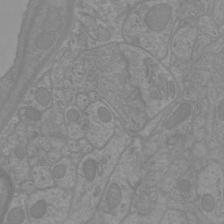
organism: Mouse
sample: Cortical neurons